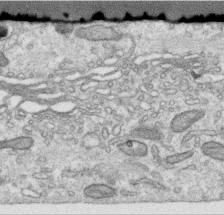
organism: Human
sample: Centriole in RPE cells